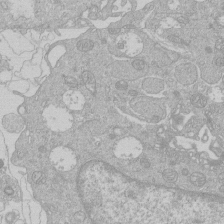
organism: Human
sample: Macrophage cells